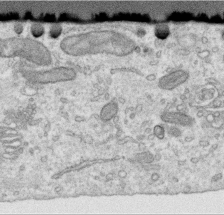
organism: Human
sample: Centriole in RPE cells